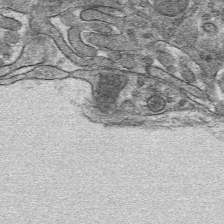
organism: Mouse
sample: Mouse hepatocytes